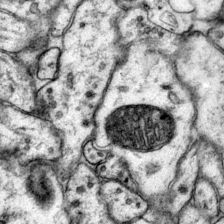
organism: Mouse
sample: Primary visual cortex